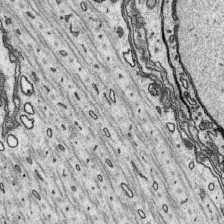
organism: Platynereis dumerilii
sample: Parapodia